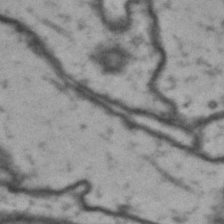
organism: Drosophila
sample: Brain